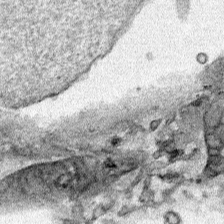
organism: Human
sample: Mitochondria in HCT116 cells